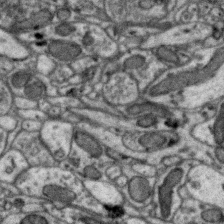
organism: Zebra finch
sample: Brain